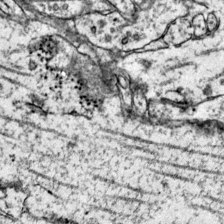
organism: Mouse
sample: Primary visual cortex